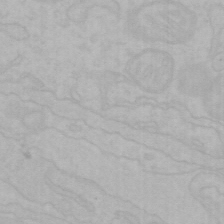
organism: Mouse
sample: Choroid plexus